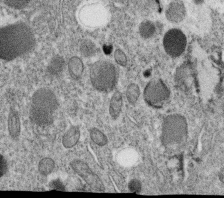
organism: C. elegans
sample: C. elegans oocyte; sperm cells